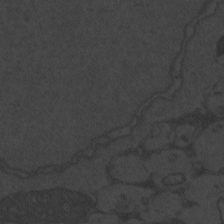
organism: Zebrafish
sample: Macrophage infected with Toxoplasma gondii